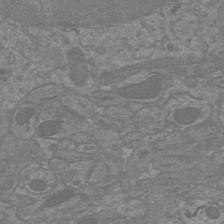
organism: Mouse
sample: Cortical neurons